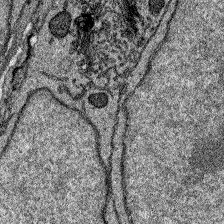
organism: Zebrafish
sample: Larval olfactory bulb